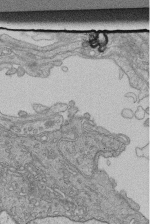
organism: Human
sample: Retinal organoid Rod and Cone cells